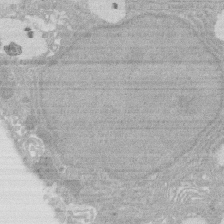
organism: Rat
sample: Salivary granule